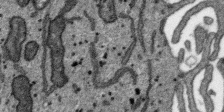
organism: Human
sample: Lung epithelial cells, uninfected (mock) control